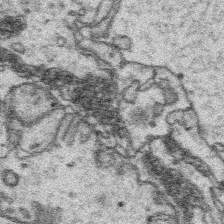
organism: Platynereis dumerilii